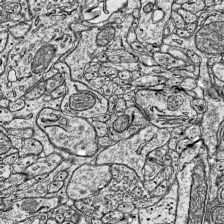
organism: Mouse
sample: Visual Cortex